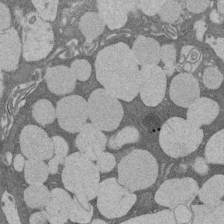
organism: Rat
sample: Salivary granule